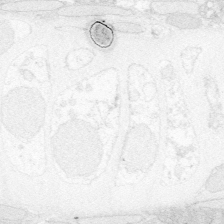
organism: Zebrafish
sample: Whole-Brain